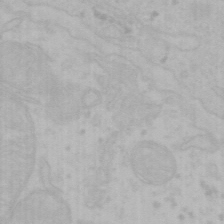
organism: Mouse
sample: Choroid plexus